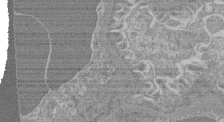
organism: Mouse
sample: Glomerulus